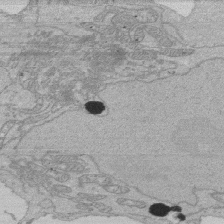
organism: Human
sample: Activated Jurkat CD4+ T cells